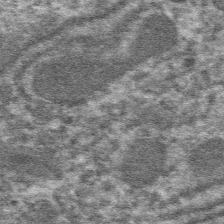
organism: Mouse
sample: Mouse hepatocytes